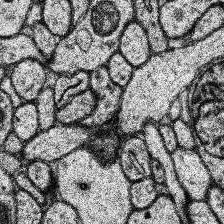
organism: Human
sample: Temporal Lobe